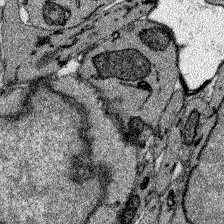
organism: Zebrafish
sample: Larval olfactory bulb